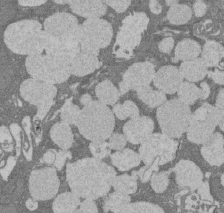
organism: Rat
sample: Salivary granule